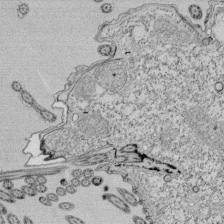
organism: Tetrahymena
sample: Cilia in tetrahymena